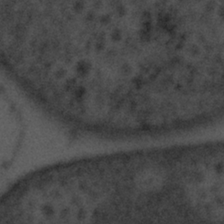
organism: Tuwongella immobilis